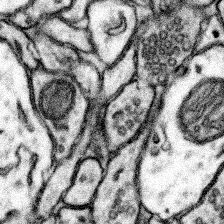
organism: Mouse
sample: Somatosensory cortex neuropil